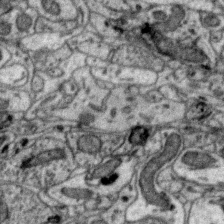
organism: Zebra finch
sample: Brain